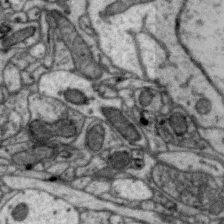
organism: Zebra finch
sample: Brain